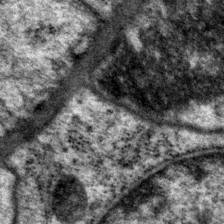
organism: P. pacificus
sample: Pharynx